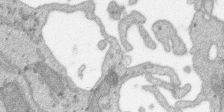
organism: Human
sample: Lung epithelial cells infected with SARS-CoV-2